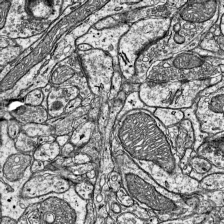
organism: Mouse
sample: Visual Cortex